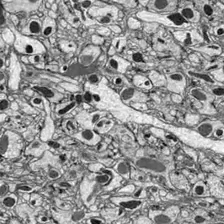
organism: Drosophila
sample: Optic lobe